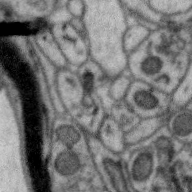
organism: Zebra finch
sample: Brain